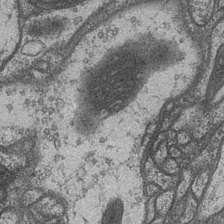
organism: Drosophila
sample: Optic medulla